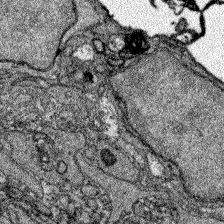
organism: Zebrafish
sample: Larval olfactory bulb